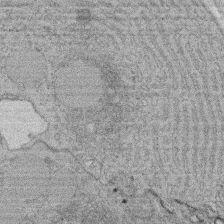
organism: Rat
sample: Salivary granule